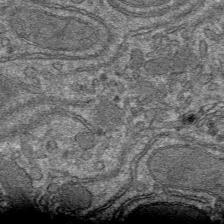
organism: Mouse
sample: Mouse hepatocytes